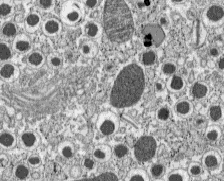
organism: C57BL Mouse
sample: Pancreatic islet